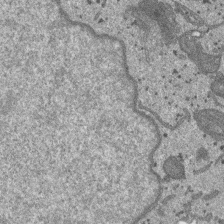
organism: Human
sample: Lung epithelial cells infected with SARS-CoV-2